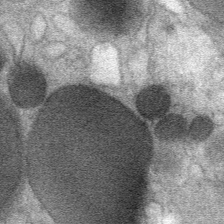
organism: Mouse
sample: Mouse Salivary gland